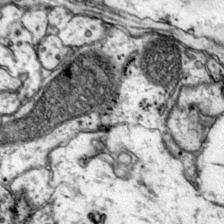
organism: Mouse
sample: Primary visual cortex